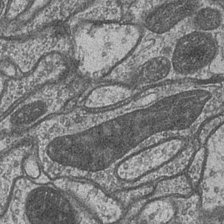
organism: Drosophila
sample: Optic medulla